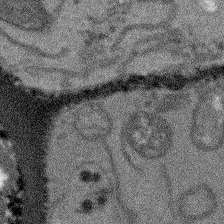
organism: Arabidopsis thaliana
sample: Root tip